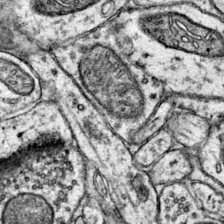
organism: Mouse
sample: Primary visual cortex